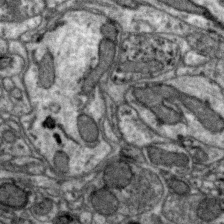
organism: Zebra finch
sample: Brain